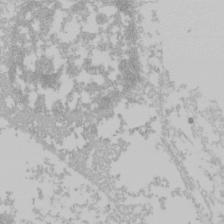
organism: Mouse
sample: Cancer cell death in ED-1 cells